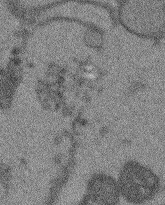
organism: Arabidopsis thaliana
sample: Root tip